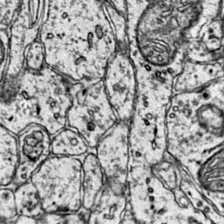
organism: Mouse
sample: Primary visual cortex